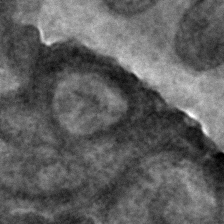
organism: C. elegans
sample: C. elegans embryo